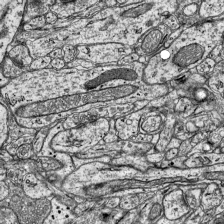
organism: Mouse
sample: Visual Cortex